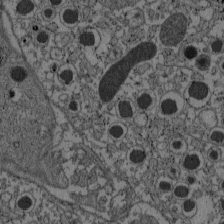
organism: C57BL Mouse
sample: Pancreatic islet